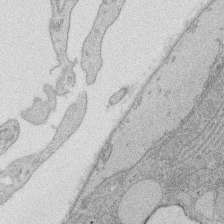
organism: Rat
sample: Salivary granule